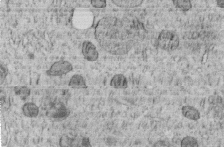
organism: C. elegans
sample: C. elegans embryo early stage